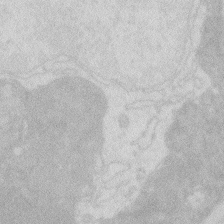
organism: Zebrafish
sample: Macrophage